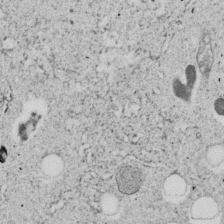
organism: C. elegans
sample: C. elegans embryo early stage